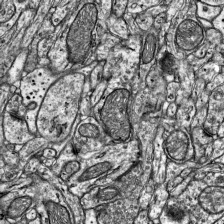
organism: Mouse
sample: Visual Cortex